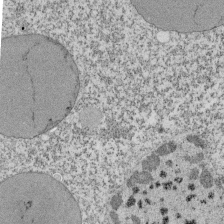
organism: Tetrahymena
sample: Cilia in tetrahymena